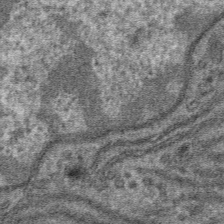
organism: Mouse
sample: Mouse hepatocytes